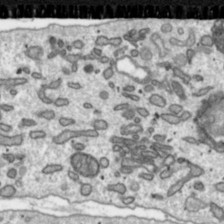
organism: Toxoplasma gondii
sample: Parasites in a vacuole inside a host cell